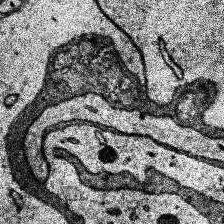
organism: Human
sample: Temporal Lobe